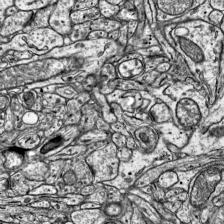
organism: Mouse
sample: Visual Cortex